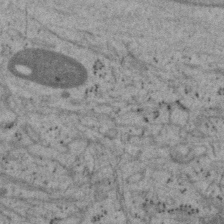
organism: Human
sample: HeLa cells